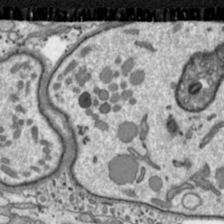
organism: Toxoplasma gondii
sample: Parasites in a vacuole inside a host cell